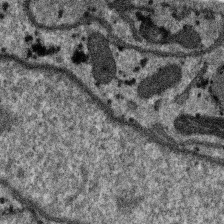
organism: Human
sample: Lung epithelial cells infected with SARS-CoV-2